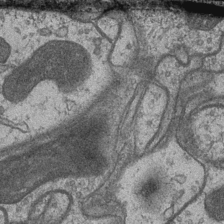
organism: Drosophila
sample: Optic medulla